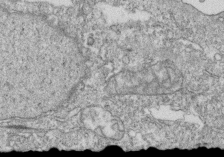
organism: Human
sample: HeLa cell HIV synapse